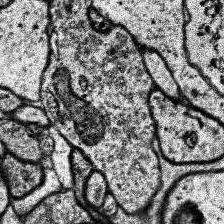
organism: Human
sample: Temporal Lobe